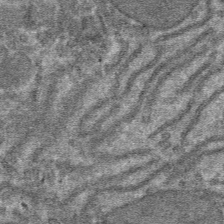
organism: Mouse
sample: Mouse hepatocytes